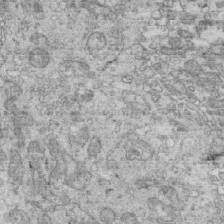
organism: Mouse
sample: Multiciliated cells